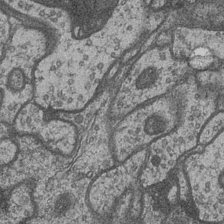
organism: Drosophila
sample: Optic medulla